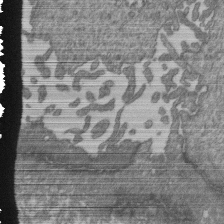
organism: Human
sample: Retinal organoid Rod and Cone cells